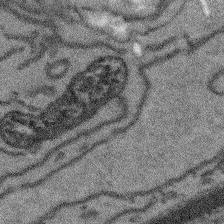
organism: Arabidopsis thaliana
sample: Root tip